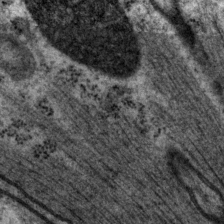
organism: P. pacificus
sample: Pharynx